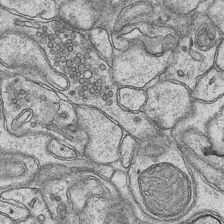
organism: Mouse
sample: CA1 Hippocampus